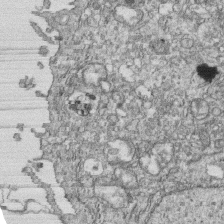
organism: Human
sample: HeLa cell HIV synapse